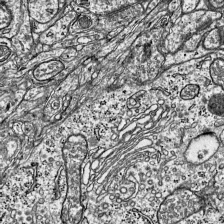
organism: Mouse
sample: Visual Cortex